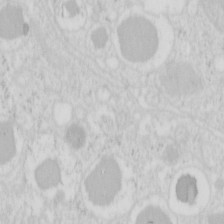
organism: Mouse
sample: Pancreas